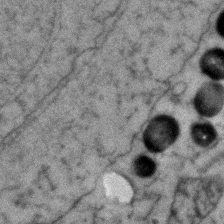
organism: Zebrafish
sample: Zebrafish embryo